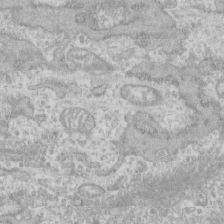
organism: Human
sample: CRL-1474